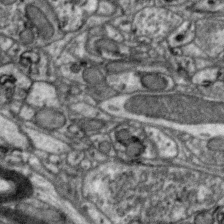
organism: Zebra finch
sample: Brain